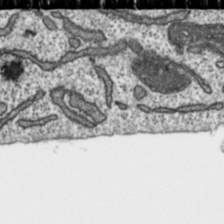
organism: Toxoplasma gondii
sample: Parasites in a vacuole inside a host cell